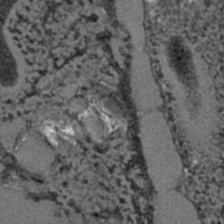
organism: C. elegans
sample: C. elegans embryo